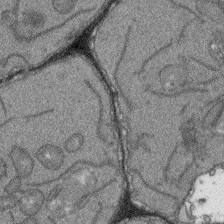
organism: Arabidopsis thaliana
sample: Root tip